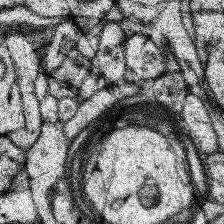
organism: Human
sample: Temporal Lobe